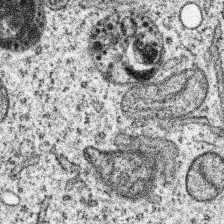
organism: Human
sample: HeLa cells